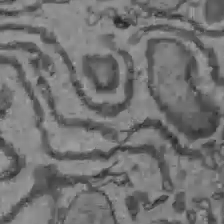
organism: C57BL Mouse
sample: Liver